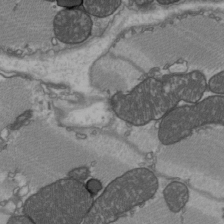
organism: C57BL Mouse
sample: Heart